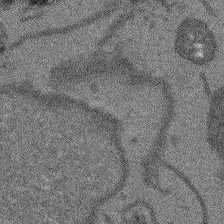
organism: Arabidopsis thaliana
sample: Root tip